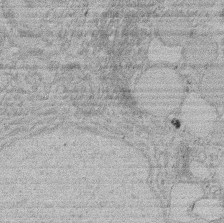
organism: Rat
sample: Salivary granule